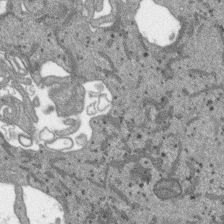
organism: Human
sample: Lung epithelial cells infected with SARS-CoV-2